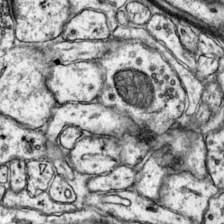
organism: Mouse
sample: Primary visual cortex